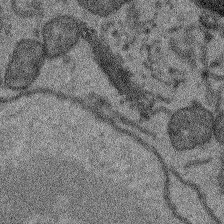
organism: Arabidopsis thaliana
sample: Root tip